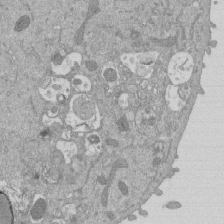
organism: Mouse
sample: ED-1 cell nuclei; centrioles